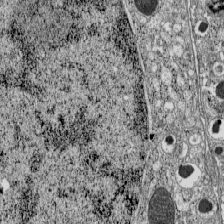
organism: C57BL Mouse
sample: Pancreatic islet